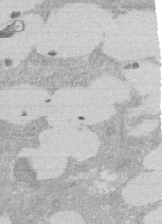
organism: Rat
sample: Salivary granule